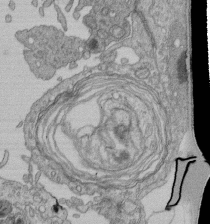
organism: Human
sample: Retinal organoid Rod and Cone cells